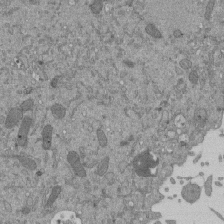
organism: Mouse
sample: ED-1 cell nuclei; centrioles